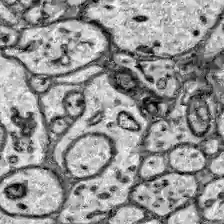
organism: Zebrafish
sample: Brain